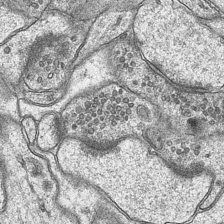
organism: Mouse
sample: CA1 Hippocampus